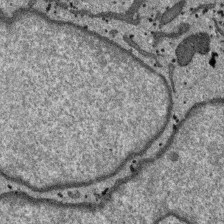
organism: Human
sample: Lung epithelial cells, uninfected (mock) control